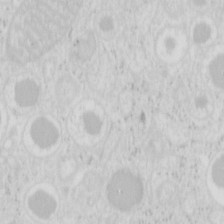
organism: Mouse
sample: Pancreas